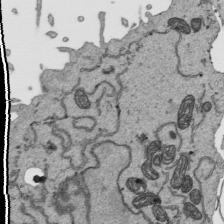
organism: Human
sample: Mitochondria in HCT116 cells